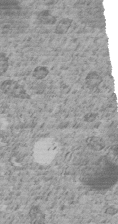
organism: C. elegans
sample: C. elegans embryo early stage